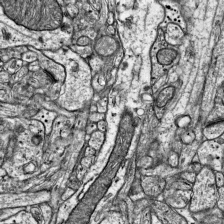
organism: Mouse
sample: Visual Cortex